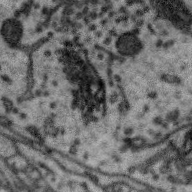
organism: Zebra finch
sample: Brain